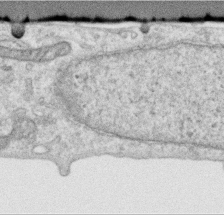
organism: Human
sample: Centriole in RPE cells